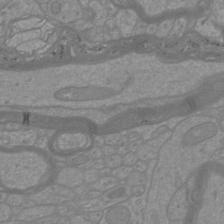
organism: Mouse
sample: Cortical neurons